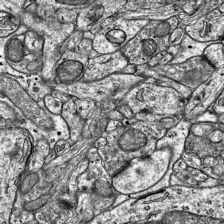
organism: Mouse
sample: Visual Cortex